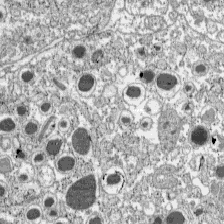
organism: C57BL Mouse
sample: Pancreatic islet